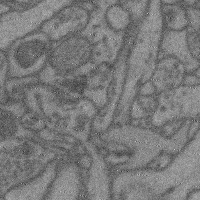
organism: Mouse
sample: Cerebral cortex